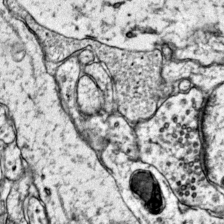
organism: Mouse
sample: Primary visual cortex